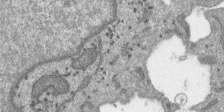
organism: Human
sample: Lung epithelial cells infected with SARS-CoV-2